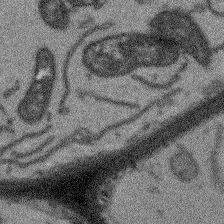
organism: Arabidopsis thaliana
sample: Root tip